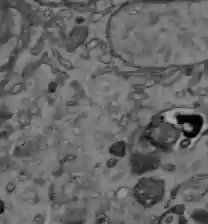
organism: C57BL Mouse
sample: Liver